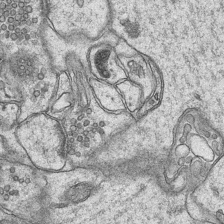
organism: Mouse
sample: CA1 Hippocampus